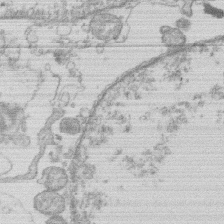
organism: Human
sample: Macrophage cells